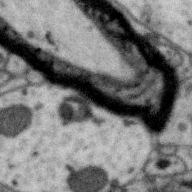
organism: Zebra finch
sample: Brain